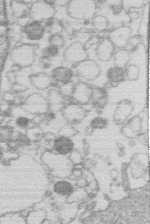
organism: Human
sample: Macrophage cells